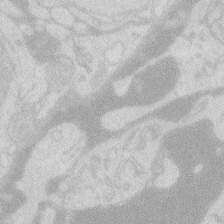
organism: Zebrafish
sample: Macrophage